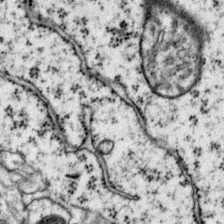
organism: Mouse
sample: Primary visual cortex